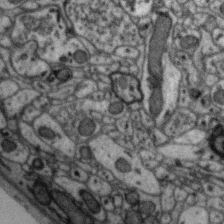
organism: Zebra finch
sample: Brain